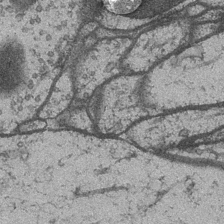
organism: Drosophila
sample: Optic medulla